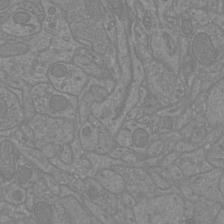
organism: Mouse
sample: Cortical neurons